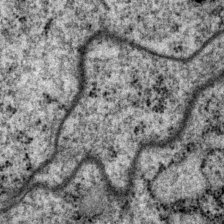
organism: P. pacificus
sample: Pharynx